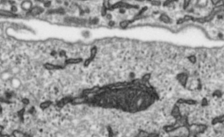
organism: Toxoplasma gondii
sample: Parasites in a vacuole inside a host cell